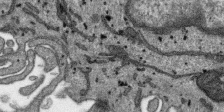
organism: Human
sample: Lung epithelial cells, uninfected (mock) control